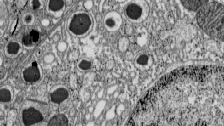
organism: C57BL Mouse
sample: Pancreatic islet